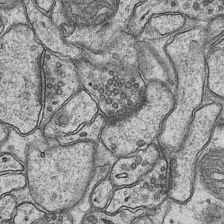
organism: Mouse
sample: CA1 Hippocampus